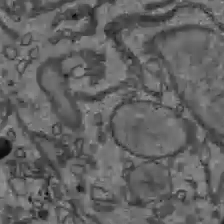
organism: C57BL Mouse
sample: Liver